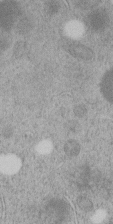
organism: C. elegans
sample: C. elegans embryo early stage